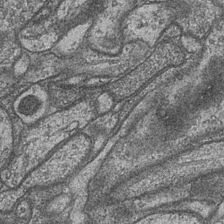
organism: Drosophila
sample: Optic medulla